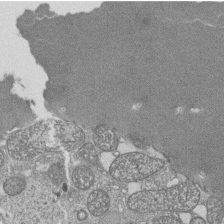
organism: Tetrahymena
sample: Cilia in tetrahymena